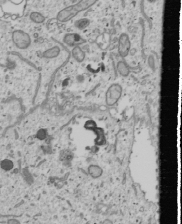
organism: Human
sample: Mitochondria in U2OS cells